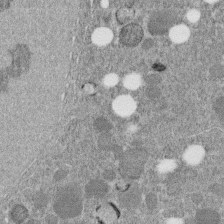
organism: C. elegans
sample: C. elegans embryo early stage